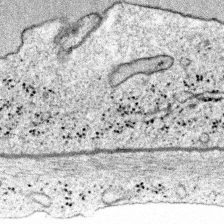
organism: Human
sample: HeLa cells